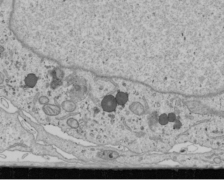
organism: Human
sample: Mitochondria in U2OS cells